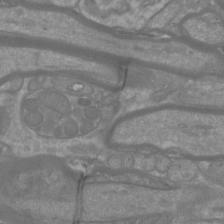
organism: Mouse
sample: Cortical neurons